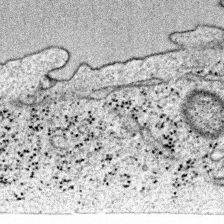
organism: Human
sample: HeLa cells